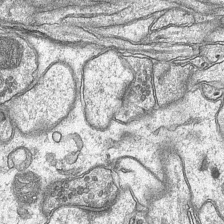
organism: Mouse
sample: CA1 Hippocampus